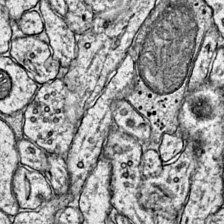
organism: Mouse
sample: Primary visual cortex